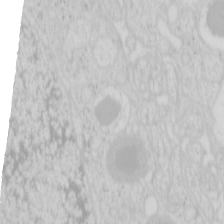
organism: Mouse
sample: Pancreas